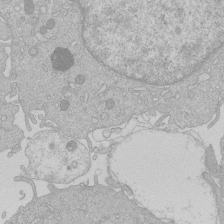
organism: Human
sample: Macrophage cells